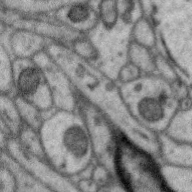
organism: Zebra finch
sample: Brain